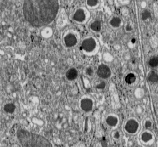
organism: C57BL Mouse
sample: Pancreatic islet